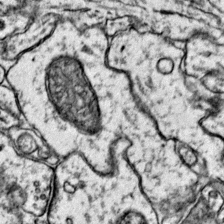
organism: Mouse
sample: Primary visual cortex